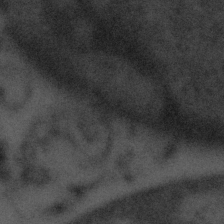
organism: Tuwongella immobilis